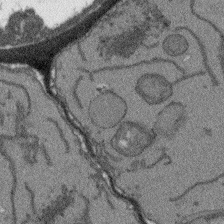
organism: Arabidopsis thaliana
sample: Root tip